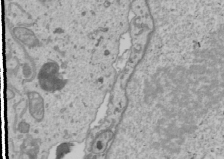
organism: Human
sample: Mitochondria in U2OS cells